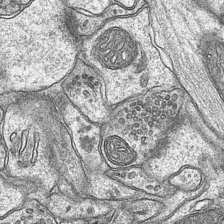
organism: Mouse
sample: CA1 Hippocampus